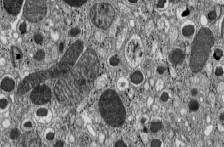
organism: C57BL Mouse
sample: Pancreatic islet